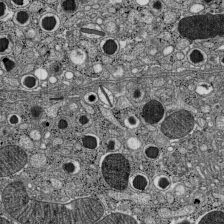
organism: C57BL Mouse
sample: Pancreatic islet